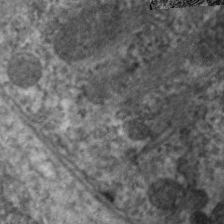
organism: C. elegans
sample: Pharynx